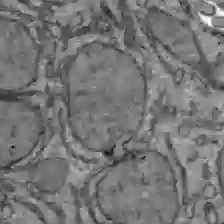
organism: C57BL Mouse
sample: Liver